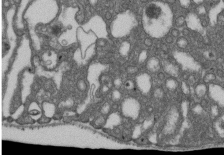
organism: Drosophila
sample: Nephrocyte